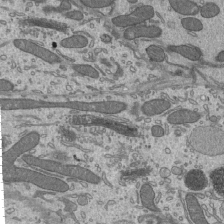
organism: Mouse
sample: Mouse epididymis efferent ductule cilia